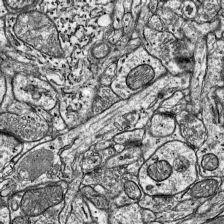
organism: Mouse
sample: Visual Cortex